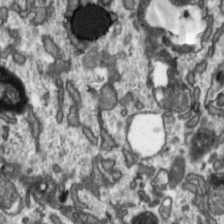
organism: Toxoplasma gondii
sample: Parasites in a vacuole inside a host cell